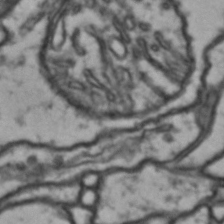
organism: Drosophila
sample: Brain